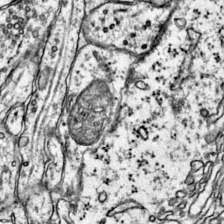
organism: Mouse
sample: Primary visual cortex